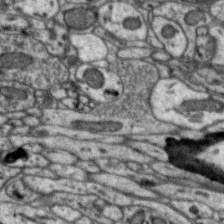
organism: Zebra finch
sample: Brain